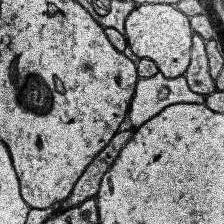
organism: Human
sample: Temporal Lobe